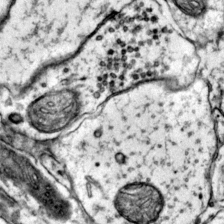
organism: Mouse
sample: Primary visual cortex